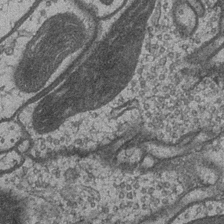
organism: Drosophila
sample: Optic medulla